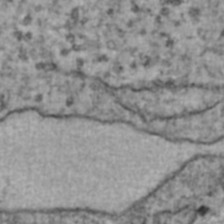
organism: Human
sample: Blood